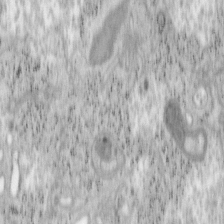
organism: Human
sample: HeLa cells